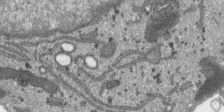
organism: Human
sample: Lung epithelial cells infected with SARS-CoV-2